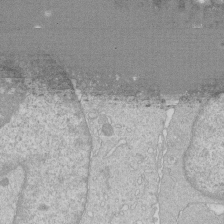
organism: Human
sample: Macrophage cells